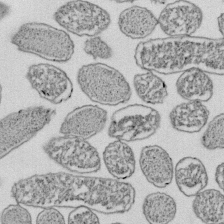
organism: E. coli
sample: Bacterial nucleoid